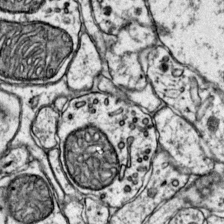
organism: Mouse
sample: Primary visual cortex